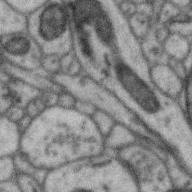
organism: Zebra finch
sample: Brain